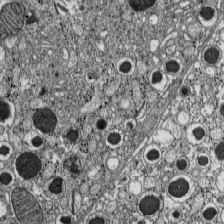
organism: C57BL Mouse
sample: Pancreatic islet